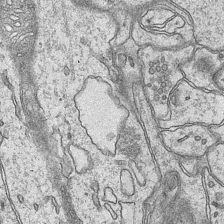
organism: Mouse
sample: CA1 Hippocampus